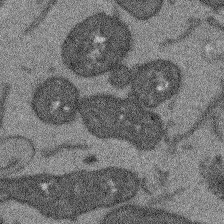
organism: Arabidopsis thaliana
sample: Root tip